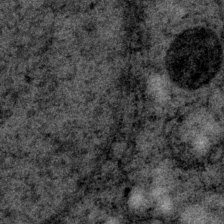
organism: P. pacificus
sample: Pharynx